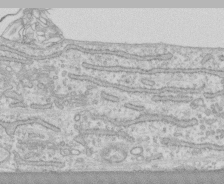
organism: Human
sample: CRL-1474